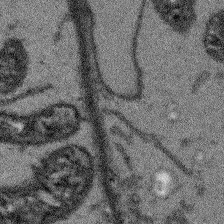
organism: Arabidopsis thaliana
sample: Root tip